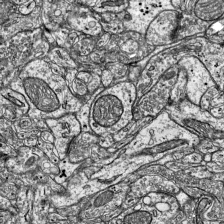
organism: Mouse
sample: Visual Cortex